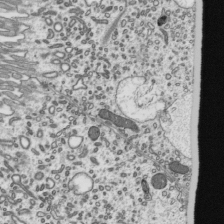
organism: Mouse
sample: Mouse epididymis efferent ductule cilia